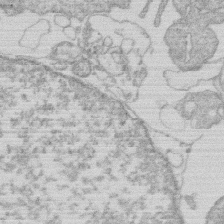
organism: Human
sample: Macrophage cells